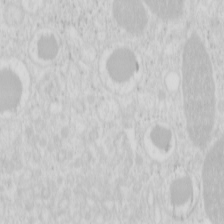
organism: Mouse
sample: Pancreas